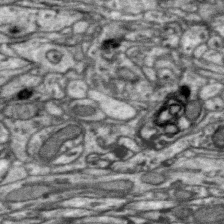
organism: Zebra finch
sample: Brain